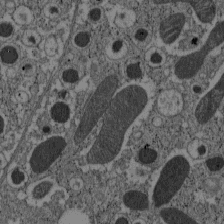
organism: C57BL Mouse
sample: Pancreatic islet